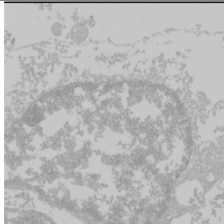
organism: Mouse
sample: Cancer cell death in ED-1 cells